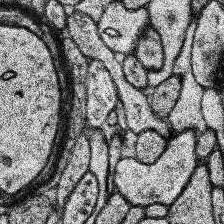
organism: Human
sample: Temporal Lobe